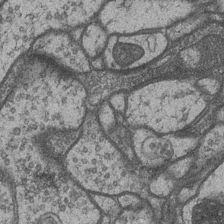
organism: Drosophila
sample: Optic medulla